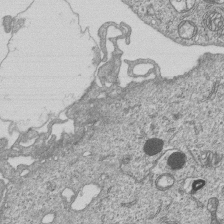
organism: Human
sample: MDA-MB-231 cells